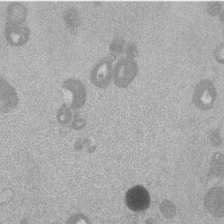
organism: Mouse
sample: Dividing mouse embryo 1 cell stage